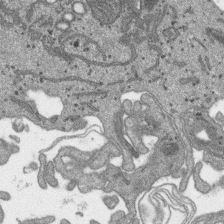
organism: Human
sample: Lung epithelial cells infected with SARS-CoV-2